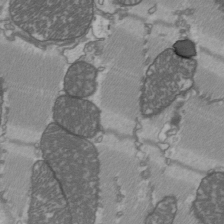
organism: C57BL Mouse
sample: Heart